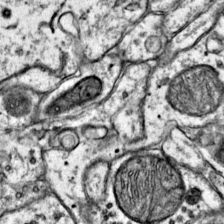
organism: Mouse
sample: Primary visual cortex